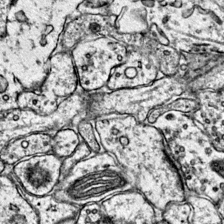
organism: Mouse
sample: Primary visual cortex